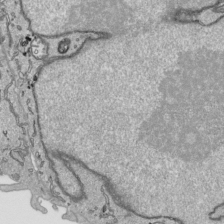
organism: Human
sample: Mitochondria in HCT116 cells